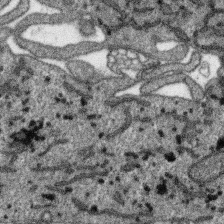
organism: Human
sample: Lung epithelial cells infected with SARS-CoV-2